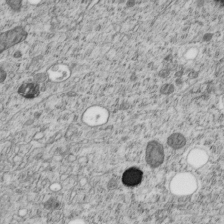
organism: C. elegans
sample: C. elegans embryo early stage